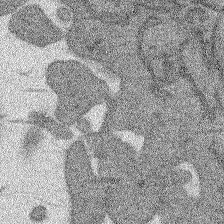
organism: Human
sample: HeLa cells